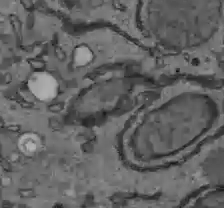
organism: C57BL Mouse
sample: Liver